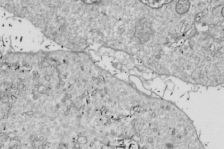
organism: Drosophila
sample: Cell division; meiosis; drosophila spermatocytes